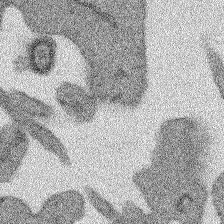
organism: Human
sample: HeLa cells